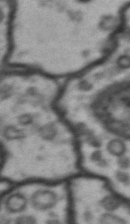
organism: Drosophila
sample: Brain